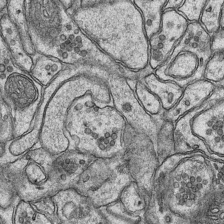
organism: Mouse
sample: CA1 Hippocampus